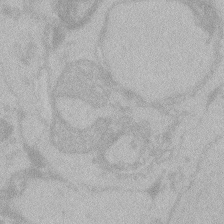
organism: Zebrafish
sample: Macrophage infected with Toxoplasma gondii